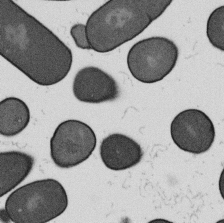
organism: B. subtilis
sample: Bacterial spore